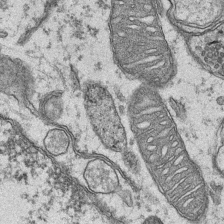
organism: Mouse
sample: CA1 Hippocampus